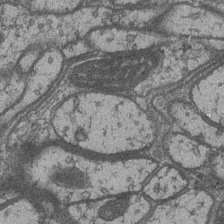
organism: Drosophila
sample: Optic medulla